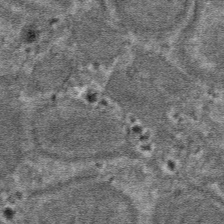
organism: Mouse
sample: Mouse hepatocytes